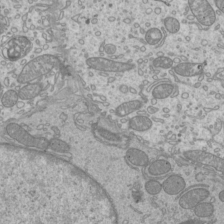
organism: Mouse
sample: Cilia; mouse epididymis